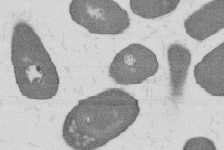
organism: B. subtilis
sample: Bacterial spore